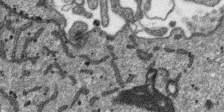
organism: Human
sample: Lung epithelial cells infected with SARS-CoV-2